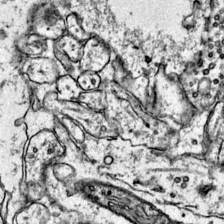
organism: Mouse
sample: Primary visual cortex